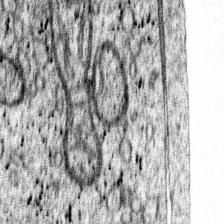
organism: Human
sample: HeLa cells